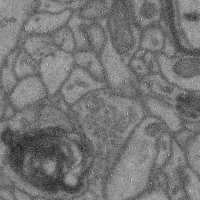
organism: Mouse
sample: Cerebral cortex